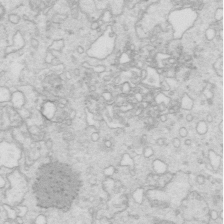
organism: Mouse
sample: Multiciliated cells